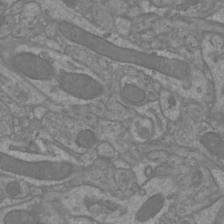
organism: Mouse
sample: Cortical neurons